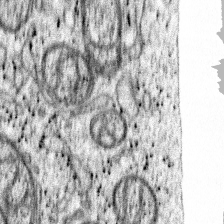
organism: Human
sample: HeLa cells